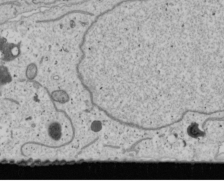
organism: Human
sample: Mitochondria in U2OS cells